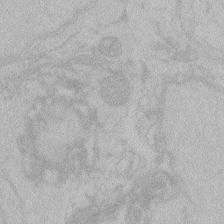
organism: Zebrafish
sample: Macrophage infected with Toxoplasma gondii